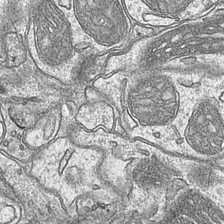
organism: Mouse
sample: CA1 Hippocampus